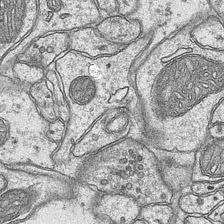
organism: Mouse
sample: CA1 Hippocampus